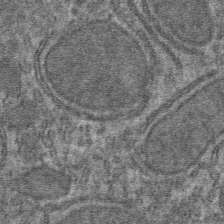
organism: Mouse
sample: Mouse hepatocytes